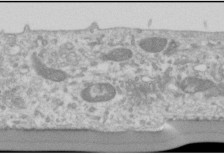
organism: Human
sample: Cilia; basal body in RPE cells